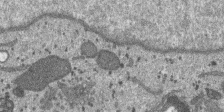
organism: Human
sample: Lung epithelial cells infected with SARS-CoV-2